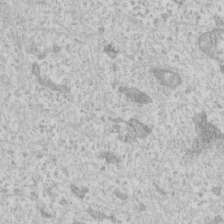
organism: Human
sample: Fibroblast cells